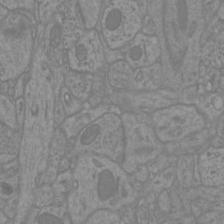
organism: Mouse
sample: Cortical neurons